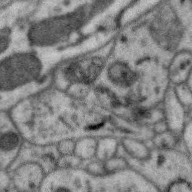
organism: Zebra finch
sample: Brain